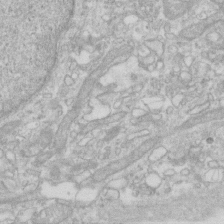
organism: Human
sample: Fibroblast cells